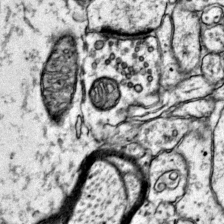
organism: Mouse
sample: Primary visual cortex